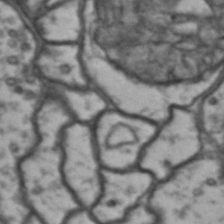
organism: Drosophila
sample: Brain